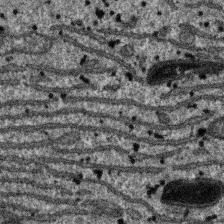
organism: Human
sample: Lung epithelial cells infected with SARS-CoV-2